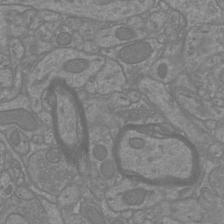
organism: Mouse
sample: Cortical neurons